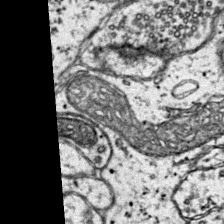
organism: Mouse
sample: Primary visual cortex